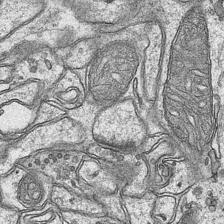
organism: Mouse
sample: CA1 Hippocampus